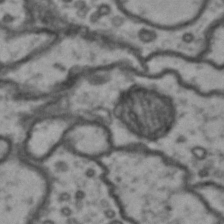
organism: Drosophila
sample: Brain